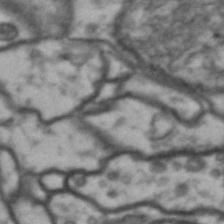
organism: Drosophila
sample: Brain